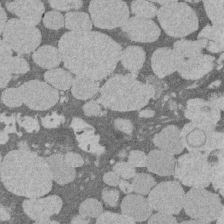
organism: Rat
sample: Salivary granule